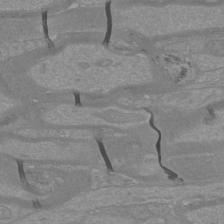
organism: Mouse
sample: Cortical neurons